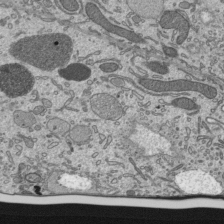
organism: Mouse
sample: Mouse epididymis efferent ductule cilia